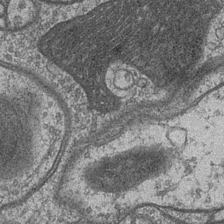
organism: Drosophila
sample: Optic medulla